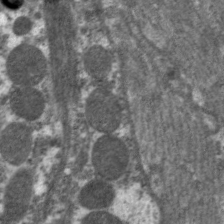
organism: C. elegans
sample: Pharynx